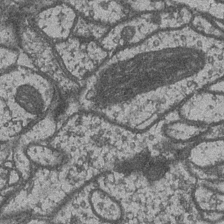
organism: Drosophila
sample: Optic medulla